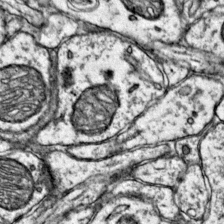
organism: Mouse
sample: Primary visual cortex